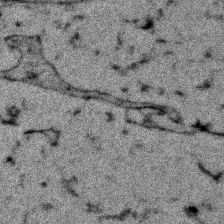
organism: Zebrafish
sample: Zebrafish embryo